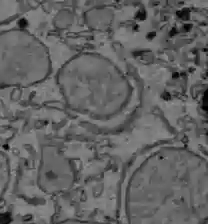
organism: C57BL Mouse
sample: Liver